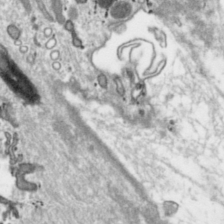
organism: Toxoplasma gondii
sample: Parasites in a vacuole inside a host cell